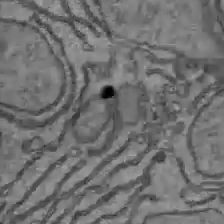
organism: C57BL Mouse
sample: Liver